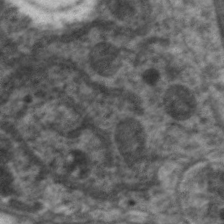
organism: C. elegans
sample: Pharynx